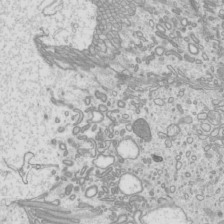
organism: Mouse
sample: Cilia; mouse epididymis